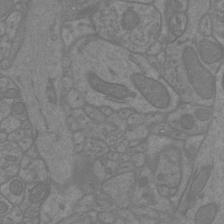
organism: Mouse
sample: Cortical neurons